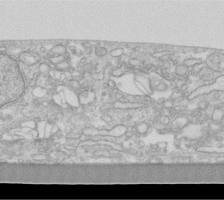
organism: Human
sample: Fibroblast cells